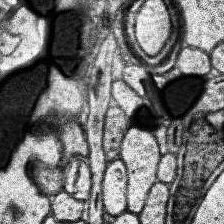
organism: Human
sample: Temporal Lobe